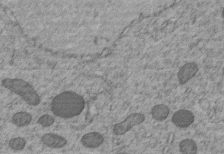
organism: C. elegans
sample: C. elegans embryo early stage